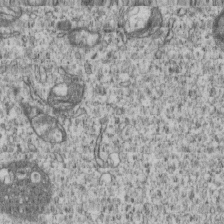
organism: Human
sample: MDA-MB-231 cells